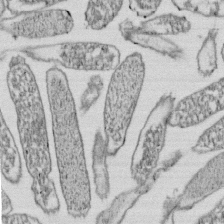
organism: E. coli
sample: Bacterial nucleoid